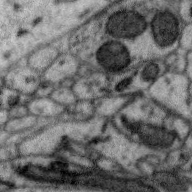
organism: Zebra finch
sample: Brain